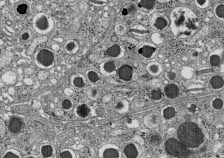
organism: C57BL Mouse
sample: Pancreatic islet